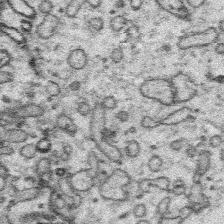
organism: Platynereis dumerilii